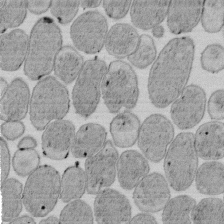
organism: E. coli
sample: Bacterial nucleoid